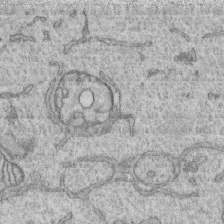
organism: Human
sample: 1205lu cells